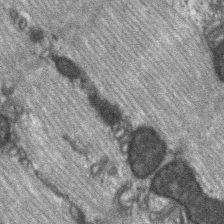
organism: C57BL Mouse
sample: Soleus